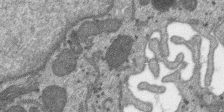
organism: Human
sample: Lung epithelial cells infected with SARS-CoV-2